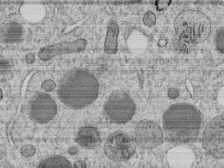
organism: C. elegans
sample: C. elegans embryo early stage